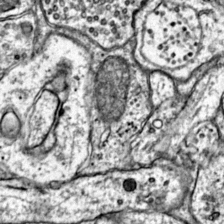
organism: Mouse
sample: Primary visual cortex